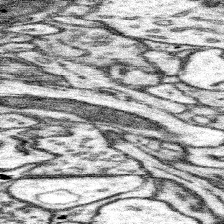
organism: Mouse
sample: Somatosensory cortex neuropil